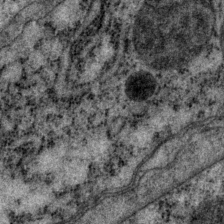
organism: P. pacificus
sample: Pharynx